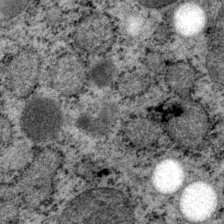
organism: P. pacificus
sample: Pharynx